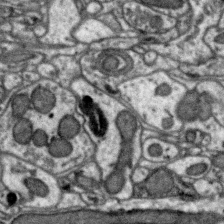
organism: Zebra finch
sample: Brain